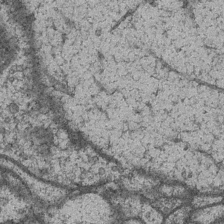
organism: Drosophila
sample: Optic medulla